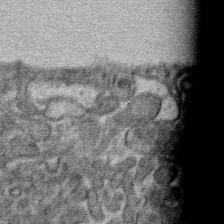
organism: Mouse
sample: Mouse hepatocytes